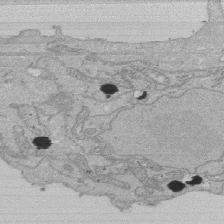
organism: Human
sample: Activated Jurkat CD4+ T cells